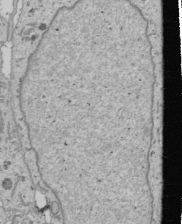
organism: Human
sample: Mitochondria in U2OS cells